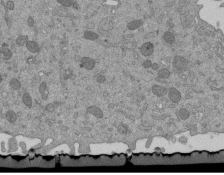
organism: Mouse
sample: ED-1 cell nuclei; centrioles